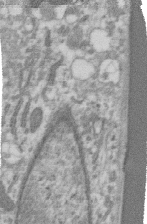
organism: Human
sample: Centriole in RPE cells